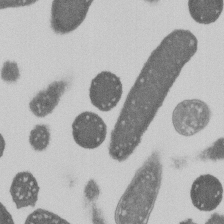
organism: E. coli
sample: Bacterial nucleoid